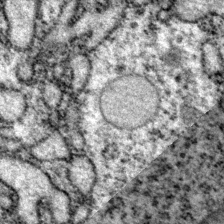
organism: P. pacificus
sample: Pharynx